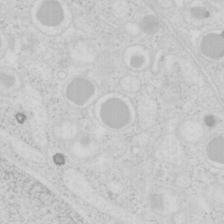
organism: Mouse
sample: Pancreas